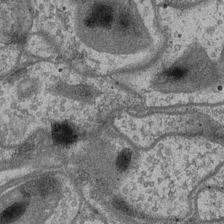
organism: Drosophila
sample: Optic medulla